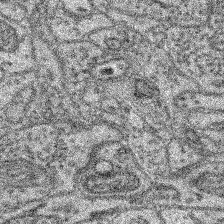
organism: Mouse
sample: Retina